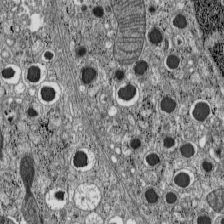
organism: C57BL Mouse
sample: Pancreatic islet